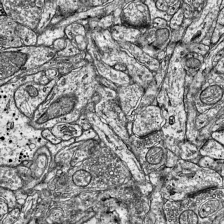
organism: Mouse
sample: Visual Cortex